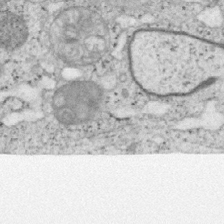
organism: Mouse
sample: OT-I killer T cells with ID8 ovarian cancer cells